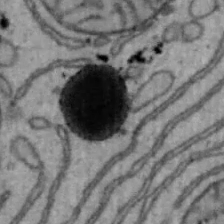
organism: Mouse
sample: Liver